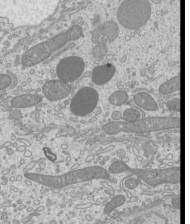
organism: Mouse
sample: Cilia; mouse epididymis